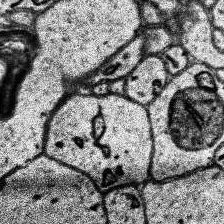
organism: Human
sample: Temporal Lobe